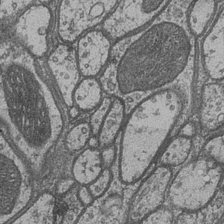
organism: Drosophila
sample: Optic medulla